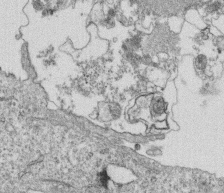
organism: Human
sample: HeLa cell HIV synapse